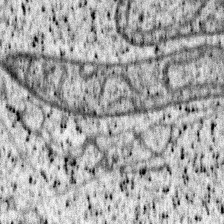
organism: Human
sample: HeLa cells